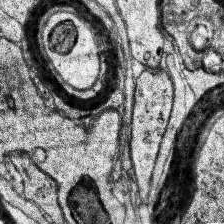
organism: Human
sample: Temporal Lobe